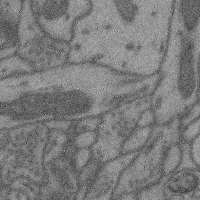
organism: Mouse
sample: Cerebral cortex